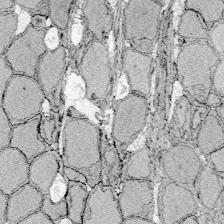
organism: Zebrafish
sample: Whole-Brain